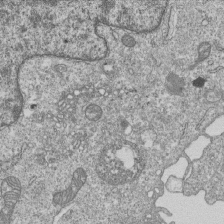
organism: Human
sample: MDA-MB-231 cells